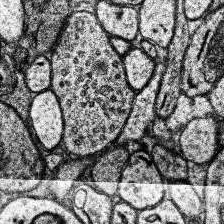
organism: Human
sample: Temporal Lobe